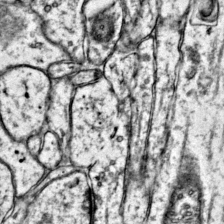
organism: Mouse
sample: Primary visual cortex